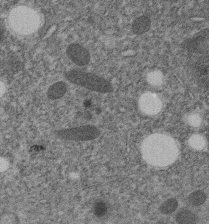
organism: C. elegans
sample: C. elegans embryo early stage